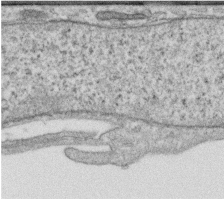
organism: Human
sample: Centriole in RPE cells